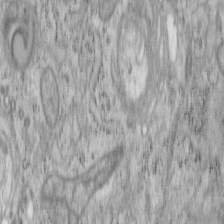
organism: Human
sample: HeLa cells